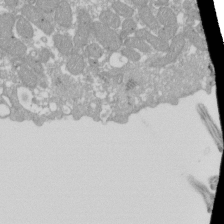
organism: Xenopus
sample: Cilia; centrioles in frog embryo cells